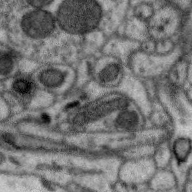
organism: Zebra finch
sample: Brain